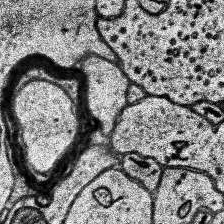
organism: Human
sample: Temporal Lobe